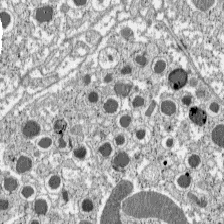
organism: C57BL Mouse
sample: Pancreatic islet